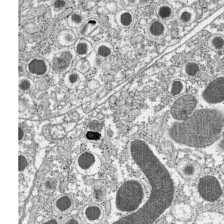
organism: C57BL Mouse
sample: Pancreatic islet